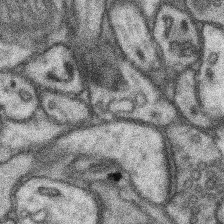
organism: Mouse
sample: Somatosensory cortex neuropil